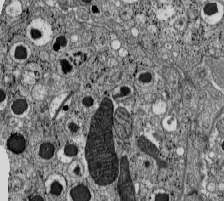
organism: C57BL Mouse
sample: Pancreatic islet